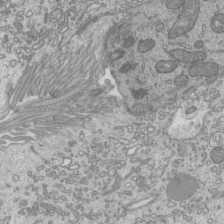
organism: Mouse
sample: Cilia; mouse epididymis